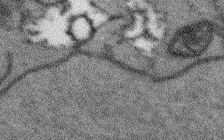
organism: Arabidopsis thaliana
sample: Root tip